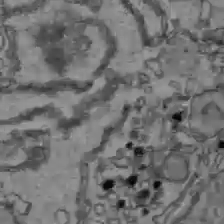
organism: C57BL Mouse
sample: Liver